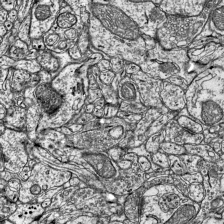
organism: Mouse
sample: Visual Cortex